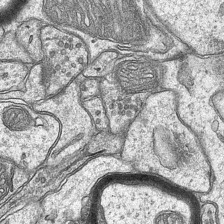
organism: Mouse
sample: CA1 Hippocampus